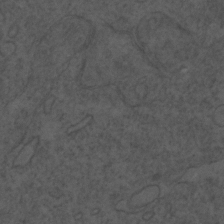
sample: Trachea